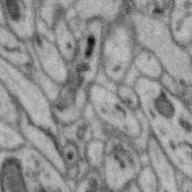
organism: Zebra finch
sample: Brain